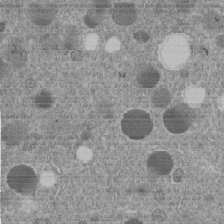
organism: C. elegans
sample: C. elegans embryo early stage